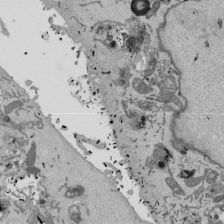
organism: Mouse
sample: ED-1 cell nuclei; centrioles